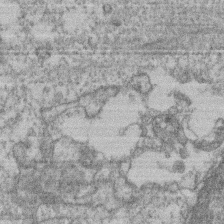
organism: Mouse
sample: T cell stromal cell synapse